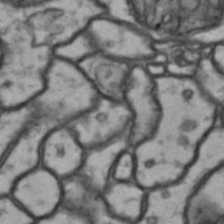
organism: Drosophila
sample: Brain